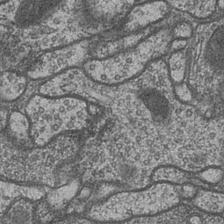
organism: Drosophila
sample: Optic medulla